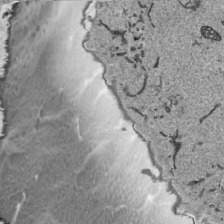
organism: Human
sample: Mitochondria in HCT116 cells